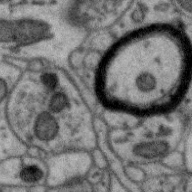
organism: Zebra finch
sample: Brain